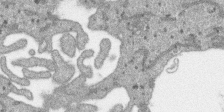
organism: Human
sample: Lung epithelial cells infected with SARS-CoV-2